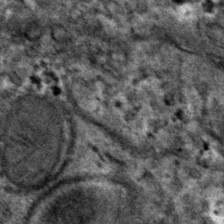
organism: Mouse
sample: Mouse hepatocytes